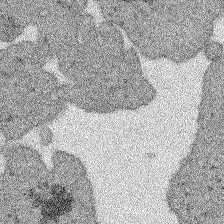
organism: Human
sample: HeLa cells